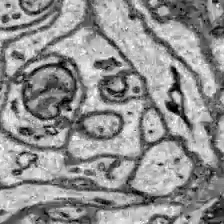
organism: Zebrafish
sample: Brain